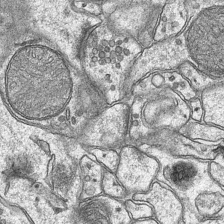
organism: Mouse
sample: CA1 Hippocampus